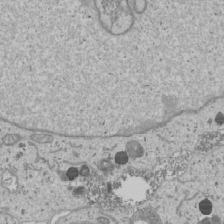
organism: Human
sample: Mitochondria in U2OS cells